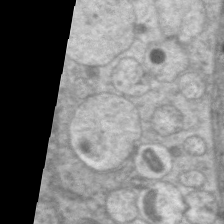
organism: C. elegans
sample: Pharynx